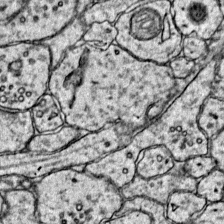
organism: Mouse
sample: Primary visual cortex